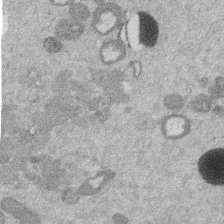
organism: Mouse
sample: Dividing mouse embryo 1 cell stage